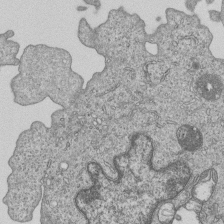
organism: Human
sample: MDA-MB-231 cells